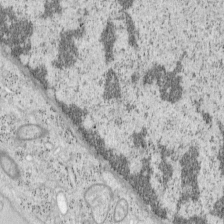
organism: Mouse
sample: OT-I killer T cells with ID8 ovarian cancer cells